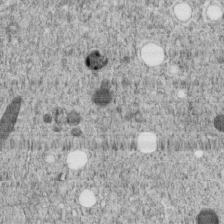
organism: C. elegans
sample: C. elegans embryo early stage